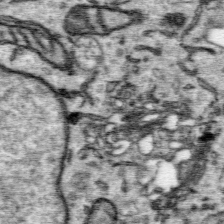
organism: Human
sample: HeLa cells